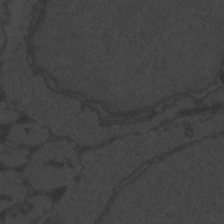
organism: Zebrafish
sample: Macrophage infected with Toxoplasma gondii